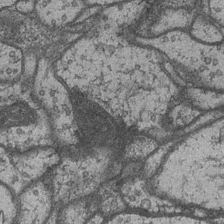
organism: Drosophila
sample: Optic medulla